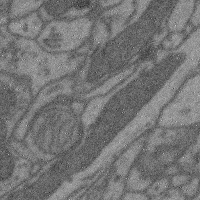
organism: Mouse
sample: Cerebral cortex